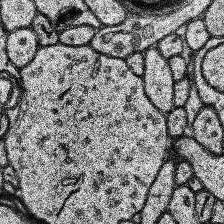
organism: Human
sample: Temporal Lobe